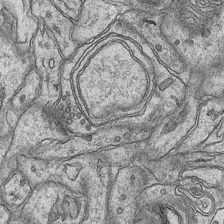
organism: Mouse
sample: CA1 Hippocampus